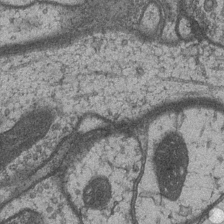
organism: Drosophila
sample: Optic medulla